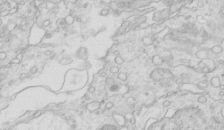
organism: Mouse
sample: Multiciliated cells